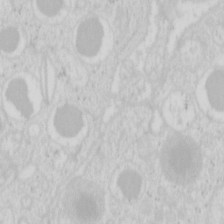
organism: Mouse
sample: Pancreas